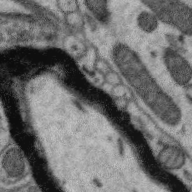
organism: Zebra finch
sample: Brain